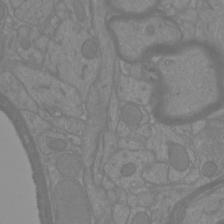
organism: Mouse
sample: Cortical neurons